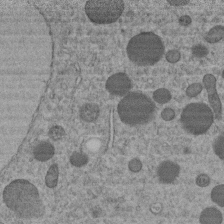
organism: C. elegans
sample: C. elegans embryo early stage